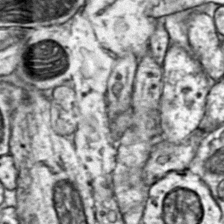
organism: Mouse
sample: Primary visual cortex